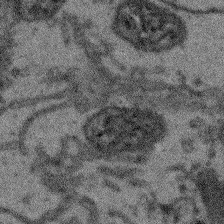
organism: Arabidopsis thaliana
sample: Root tip